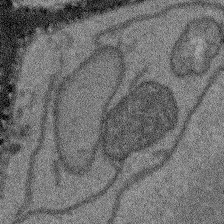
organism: Arabidopsis thaliana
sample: Root tip